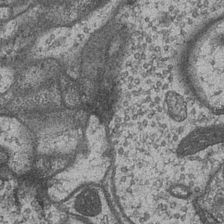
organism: Drosophila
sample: Optic medulla